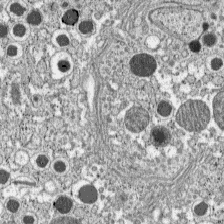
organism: C57BL Mouse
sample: Pancreatic islet